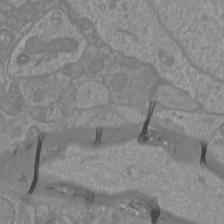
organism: Mouse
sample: Cortical neurons